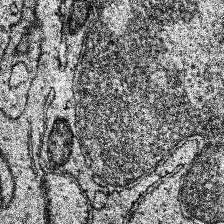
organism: Human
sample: Temporal Lobe